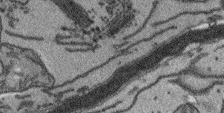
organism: Arabidopsis thaliana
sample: Root tip